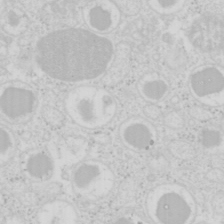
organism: Mouse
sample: Pancreas